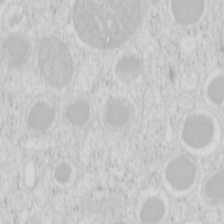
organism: Mouse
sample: Pancreas